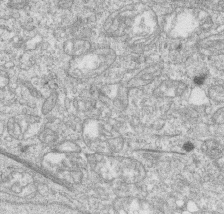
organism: Human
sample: HeLa cell HIV synapse